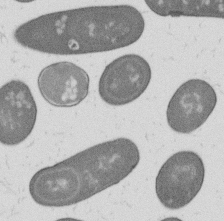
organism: B. subtilis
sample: Bacterial spore